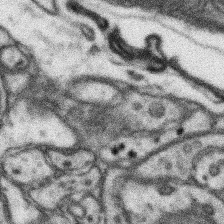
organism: Mouse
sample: Somatosensory cortex neuropil